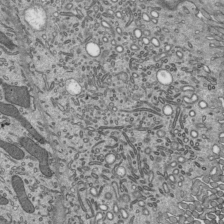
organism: Mouse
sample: Mouse epididymis efferent ductule cilia